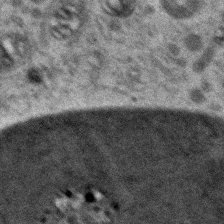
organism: Zebrafish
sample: Zebrafish embryo